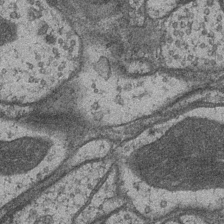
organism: Drosophila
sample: Optic medulla